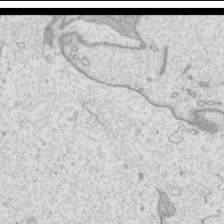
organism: Mouse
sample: Cilia; mouse epididymis